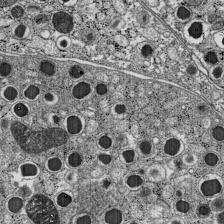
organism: C57BL Mouse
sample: Pancreatic islet